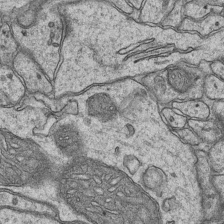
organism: Mouse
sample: CA1 Hippocampus